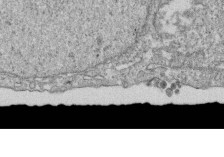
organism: Human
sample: HeLa cell HIV synapse